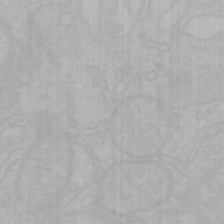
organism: Mouse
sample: Choroid plexus